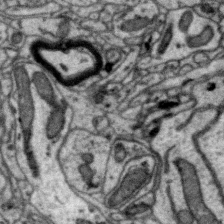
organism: Zebra finch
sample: Brain